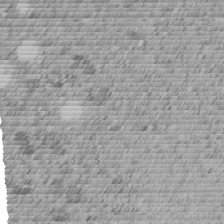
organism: C. elegans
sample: C. elegans embryo early stage